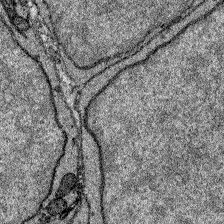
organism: Zebrafish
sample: Larval olfactory bulb